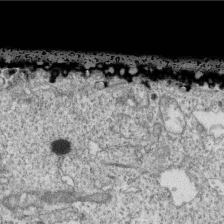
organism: Human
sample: HeLa cell HIV synapse